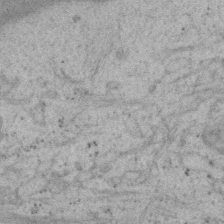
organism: Human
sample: HeLa cells